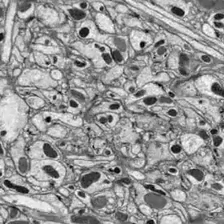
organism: Drosophila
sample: Optic lobe